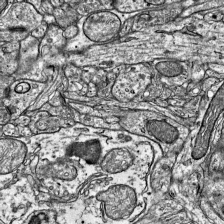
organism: Mouse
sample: Visual Cortex